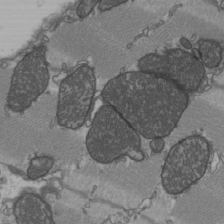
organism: C57BL Mouse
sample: Heart